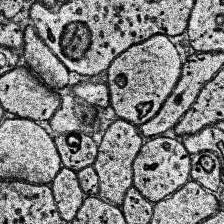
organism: Human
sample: Temporal Lobe